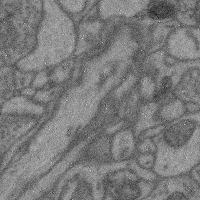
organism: Mouse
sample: Cerebral cortex